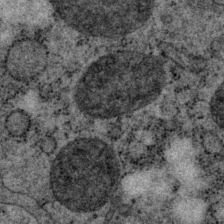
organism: P. pacificus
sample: Pharynx